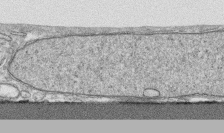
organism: Human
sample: CRL-1474